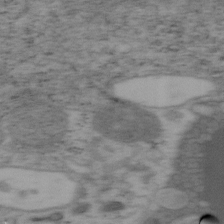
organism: Mouse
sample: OT-I killer T cells with ID8 ovarian cancer cells